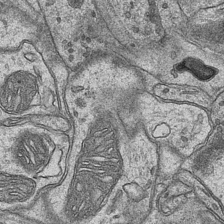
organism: Mouse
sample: CA1 Hippocampus